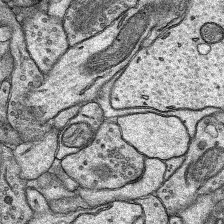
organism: Rat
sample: Hippocampus